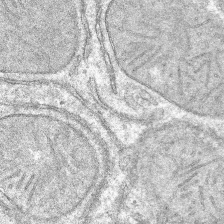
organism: Mouse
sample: Mouse hepatocytes